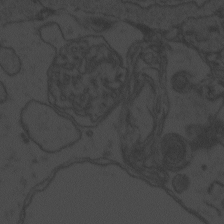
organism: Zebrafish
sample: Macrophage infected with Toxoplasma gondii